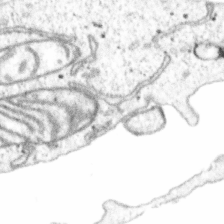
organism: Human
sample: HeLa cells